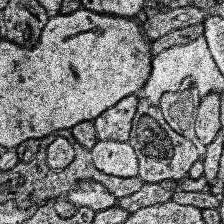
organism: Human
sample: Temporal Lobe